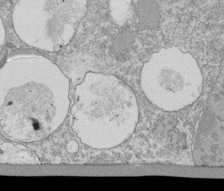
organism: Tetrahymena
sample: Cilia in tetrahymena